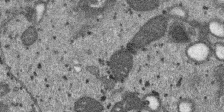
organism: Human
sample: Lung epithelial cells infected with SARS-CoV-2